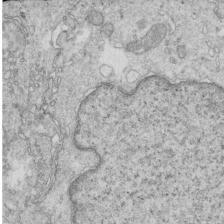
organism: Mouse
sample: Multiciliated cells